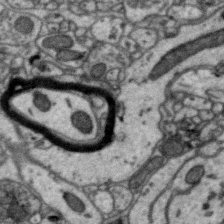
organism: Zebra finch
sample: Brain